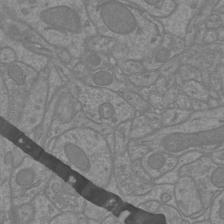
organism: Mouse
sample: Cortical neurons